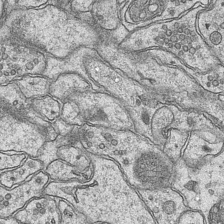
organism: Mouse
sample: CA1 Hippocampus